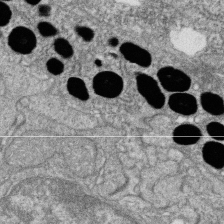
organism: Zebrafish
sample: Cilia; retinal pigment epithelium